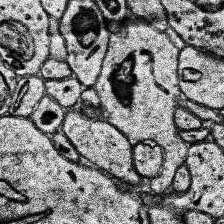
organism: Human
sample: Temporal Lobe